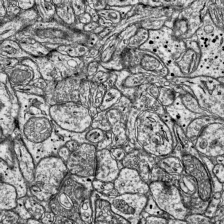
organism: Mouse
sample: Visual Cortex